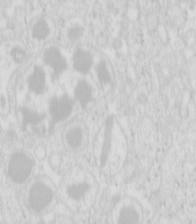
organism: Mouse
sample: Pancreas